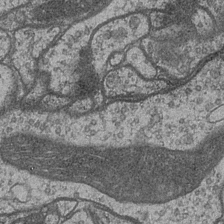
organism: Drosophila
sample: Optic medulla